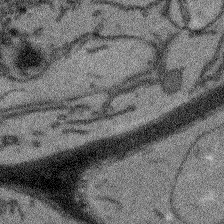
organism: Arabidopsis thaliana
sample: Root tip